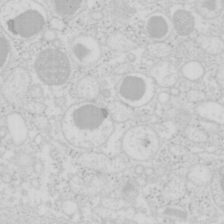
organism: Mouse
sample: Pancreas